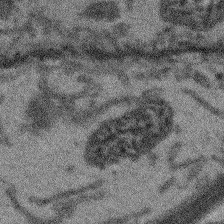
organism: Arabidopsis thaliana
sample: Root tip